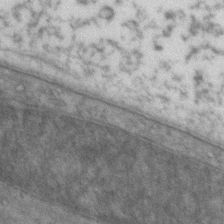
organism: Zebrafish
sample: Zebrafish embryo